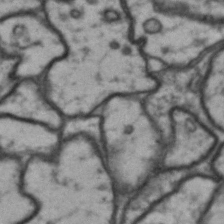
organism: Drosophila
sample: Brain